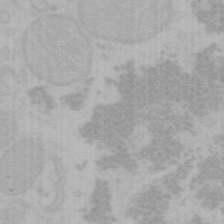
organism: Mouse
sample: Choroid plexus